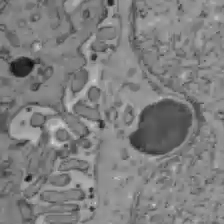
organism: C57BL Mouse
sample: Liver